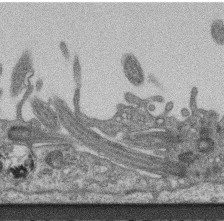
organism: Mouse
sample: Centriole in ependymal cells